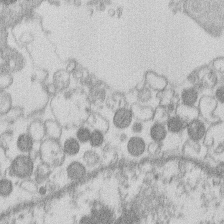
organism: Human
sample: Macrophage cells